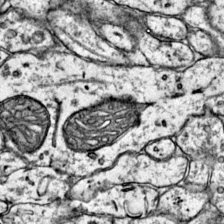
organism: Mouse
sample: Primary visual cortex